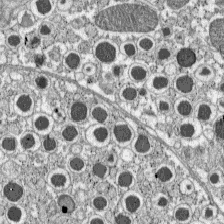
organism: C57BL Mouse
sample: Pancreatic islet